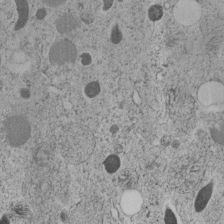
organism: C. elegans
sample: C. elegans embryo early stage